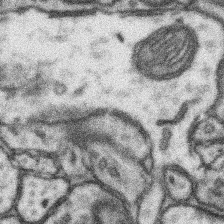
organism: Mouse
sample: Somatosensory cortex neuropil